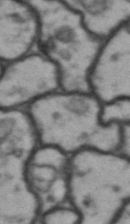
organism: Drosophila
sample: Brain